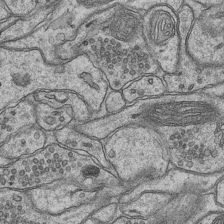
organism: Mouse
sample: CA1 Hippocampus